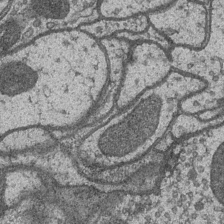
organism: Drosophila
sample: Optic medulla